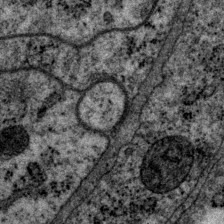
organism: P. pacificus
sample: Pharynx